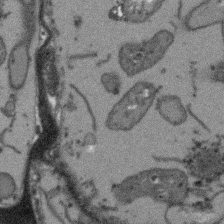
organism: Arabidopsis thaliana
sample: Root tip